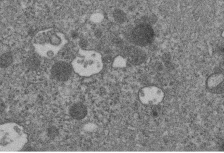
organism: C. elegans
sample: C. elegans embryo early stage